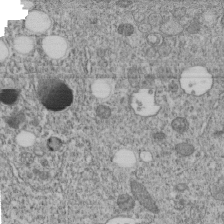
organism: C. elegans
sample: C. elegans embryo early stage